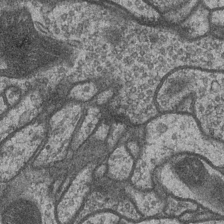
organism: Drosophila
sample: Optic medulla